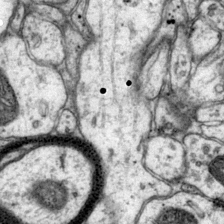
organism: Mouse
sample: Primary visual cortex